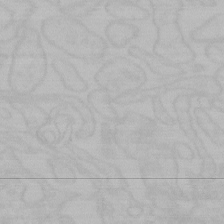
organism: Mouse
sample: Choroid plexus